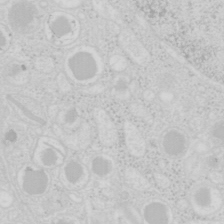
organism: Mouse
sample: Pancreas